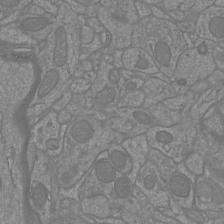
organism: Mouse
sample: Cortical neurons